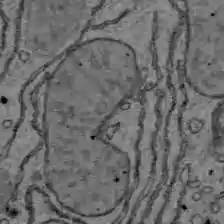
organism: C57BL Mouse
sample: Liver